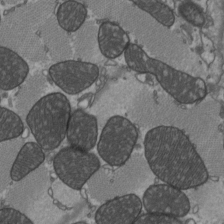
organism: C57BL Mouse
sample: Heart